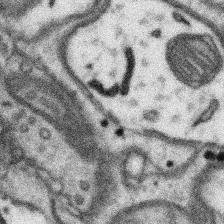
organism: Mouse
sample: Somatosensory cortex neuropil